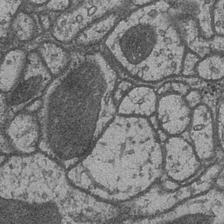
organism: Drosophila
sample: Optic medulla